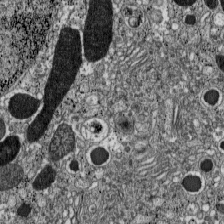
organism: C57BL Mouse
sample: Pancreatic islet